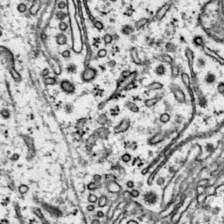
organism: Mouse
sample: Primary visual cortex